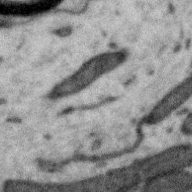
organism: Zebra finch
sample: Brain